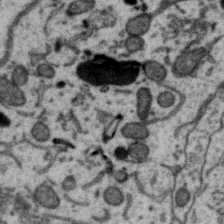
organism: Zebra finch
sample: Brain